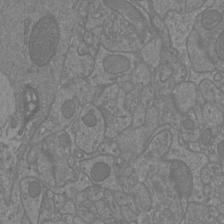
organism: Mouse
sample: Cortical neurons